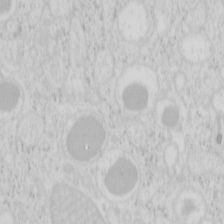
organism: Mouse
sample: Pancreas